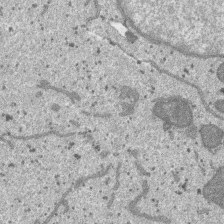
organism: Human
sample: Lung epithelial cells infected with SARS-CoV-2